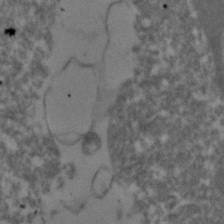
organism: Zebrafish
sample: Zebrafish embryo